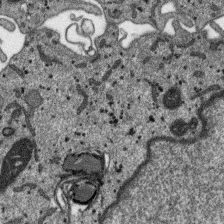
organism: Human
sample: Lung epithelial cells infected with SARS-CoV-2